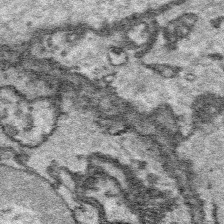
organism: Platynereis dumerilii